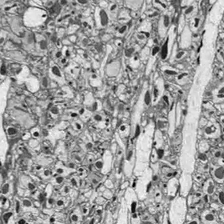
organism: Drosophila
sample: Optic lobe